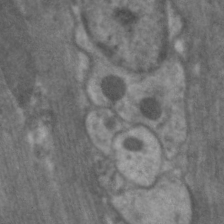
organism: C. elegans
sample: Pharynx